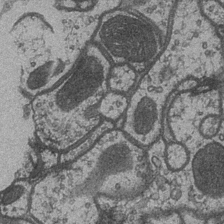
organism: Drosophila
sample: Optic medulla